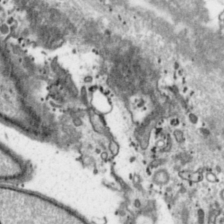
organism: Toxoplasma gondii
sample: Parasites in a vacuole inside a host cell